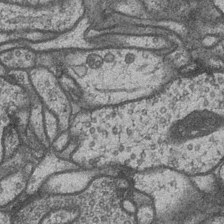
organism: Drosophila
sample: Optic medulla